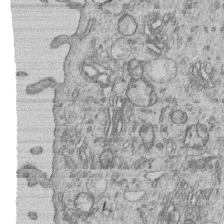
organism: Human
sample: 1205lu cells